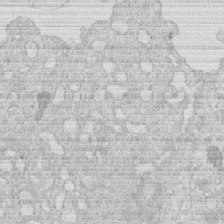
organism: Human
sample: Macrophage cells